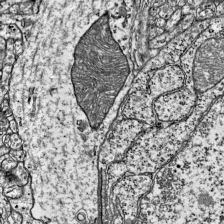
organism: Mouse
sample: Visual Cortex